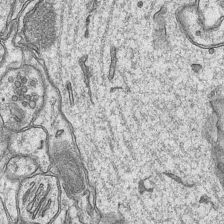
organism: Mouse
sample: CA1 Hippocampus